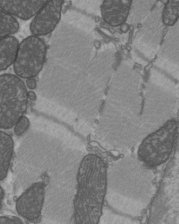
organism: C57BL Mouse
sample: Heart